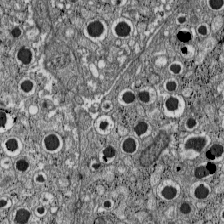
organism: C57BL Mouse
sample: Pancreatic islet